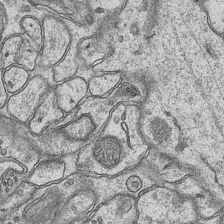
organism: Mouse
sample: CA1 Hippocampus